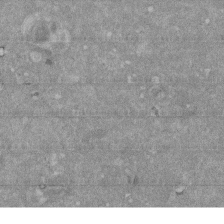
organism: Mouse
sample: ED-1 cell nuclei; centrioles